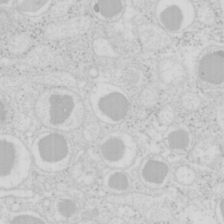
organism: Mouse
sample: Pancreas